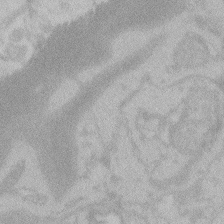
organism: Zebrafish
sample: Macrophage infected with Toxoplasma gondii